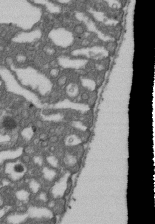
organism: Drosophila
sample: Nephrocyte